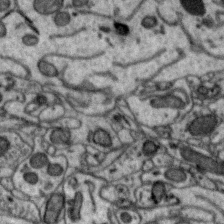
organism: Zebra finch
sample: Brain